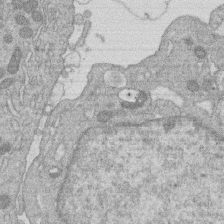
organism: Human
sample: Macrophage cells